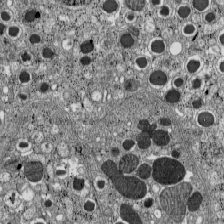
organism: C57BL Mouse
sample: Pancreatic islet